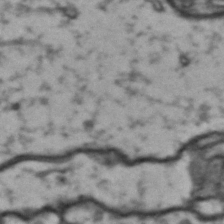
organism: Drosophila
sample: Brain